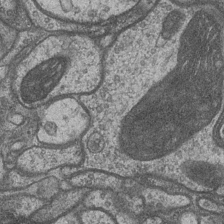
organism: Drosophila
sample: Optic medulla